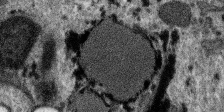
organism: Human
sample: Lung epithelial cells infected with SARS-CoV-2